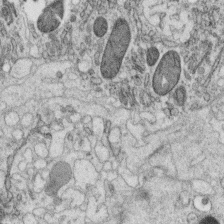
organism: C. elegans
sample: C. elegans oocyte; sperm cells